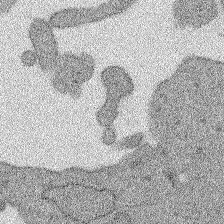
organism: Human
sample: HeLa cells